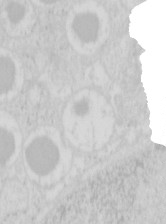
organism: Mouse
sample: Pancreas